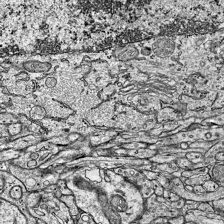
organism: Mouse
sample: Visual Cortex